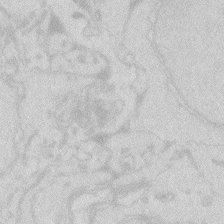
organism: Zebrafish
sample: Macrophage